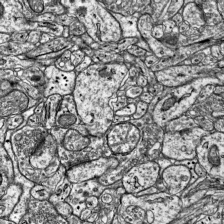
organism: Mouse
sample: Visual Cortex